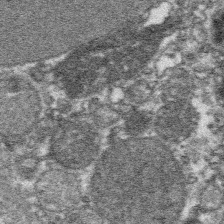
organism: Platynereis dumerilii